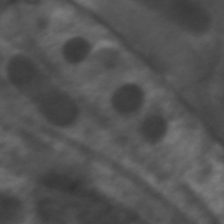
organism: C. elegans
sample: Pharynx